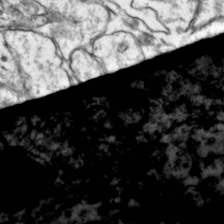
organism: Mouse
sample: Primary visual cortex